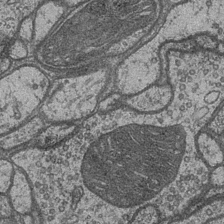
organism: Drosophila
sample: Optic medulla